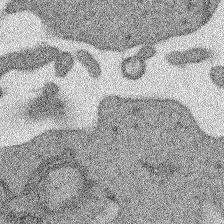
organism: Human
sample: HeLa cells